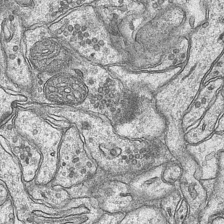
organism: Mouse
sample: CA1 Hippocampus